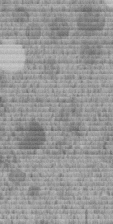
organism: C. elegans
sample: C. elegans embryo early stage